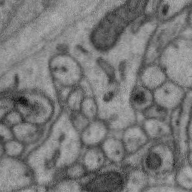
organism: Zebra finch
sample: Brain